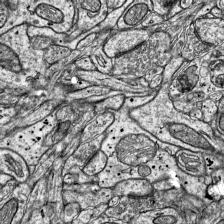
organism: Mouse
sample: Visual Cortex